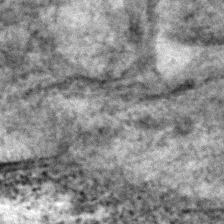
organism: C. elegans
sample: C. elegans embryo